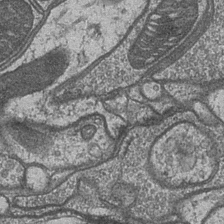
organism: Drosophila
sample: Optic medulla